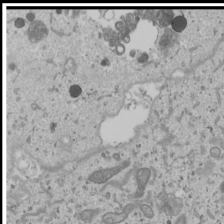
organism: Human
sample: Mitochondria in U2OS cells